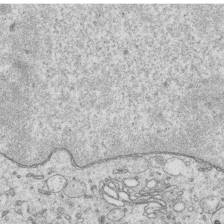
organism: Human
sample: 1205lu cells